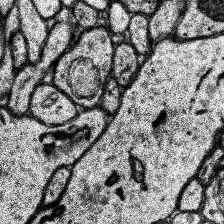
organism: Human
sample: Temporal Lobe